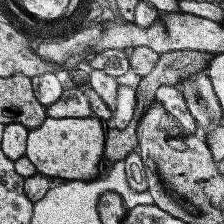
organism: Human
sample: Temporal Lobe